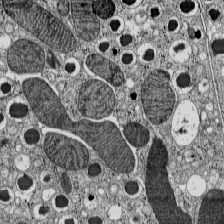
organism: C57BL Mouse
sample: Pancreatic islet